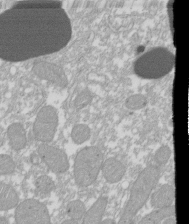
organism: Xenopus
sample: Cilia; centrioles in frog embryo cells